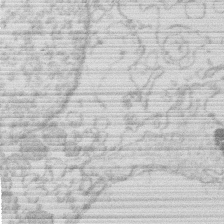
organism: Human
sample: Macrophage cells